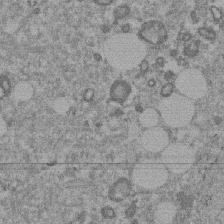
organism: Mouse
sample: Dividing mouse embryo 1 cell stage